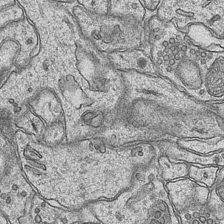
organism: Mouse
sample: CA1 Hippocampus